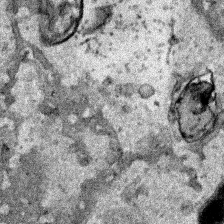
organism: Human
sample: Mitochondria in HCT116 cells